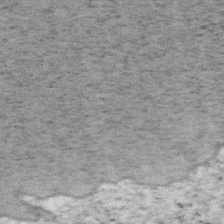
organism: Mouse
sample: OT-I killer T cells with ID8 ovarian cancer cells